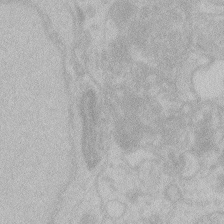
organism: Zebrafish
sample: Macrophage infected with Toxoplasma gondii